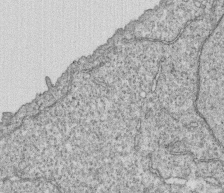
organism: Human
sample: HeLa cell HIV synapse